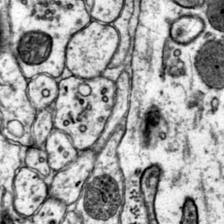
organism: Mouse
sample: Primary visual cortex